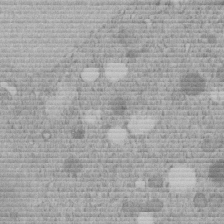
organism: C. elegans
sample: C. elegans embryo early stage